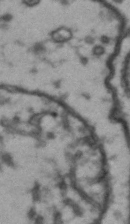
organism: Drosophila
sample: Brain